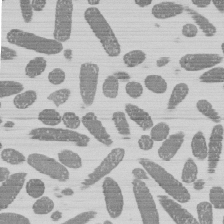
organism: E. coli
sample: Bacterial nucleoid